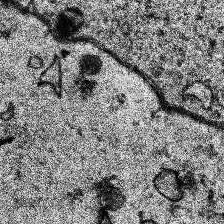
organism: Human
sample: Temporal Lobe